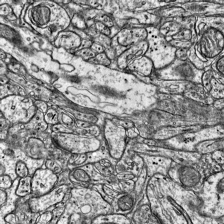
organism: Mouse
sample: Visual Cortex